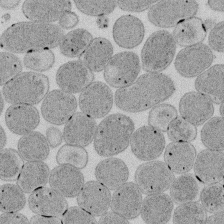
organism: E. coli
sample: Bacterial nucleoid